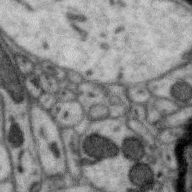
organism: Zebra finch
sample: Brain